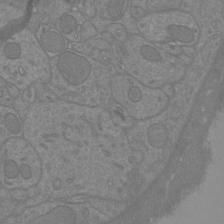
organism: Mouse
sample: Cortical neurons